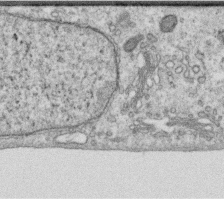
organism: Human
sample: Centriole in RPE cells